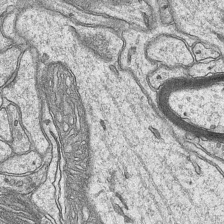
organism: Mouse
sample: CA1 Hippocampus